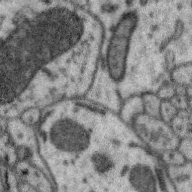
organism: Zebra finch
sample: Brain